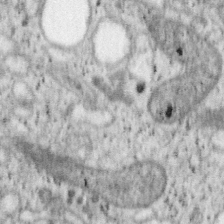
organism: Mouse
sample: OT-I killer T cells with ID8 ovarian cancer cells